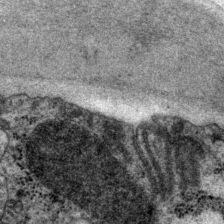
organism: P. pacificus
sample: Pharynx